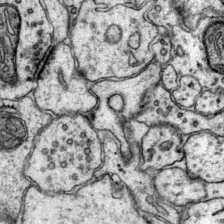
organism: Mouse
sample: Primary visual cortex